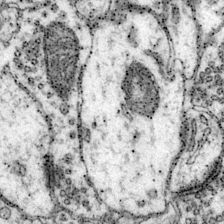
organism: Mouse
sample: Primary visual cortex